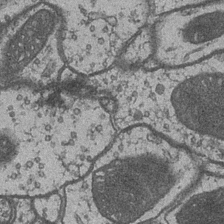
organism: Drosophila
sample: Optic medulla